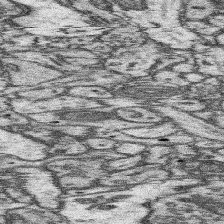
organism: Mouse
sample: Somatosensory cortex neuropil